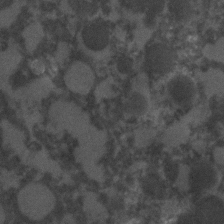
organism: C. elegans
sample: C. elegans embryo